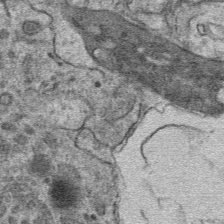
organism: Mouse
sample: Mouse hepatocytes